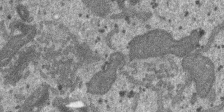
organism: Human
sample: Lung epithelial cells infected with SARS-CoV-2